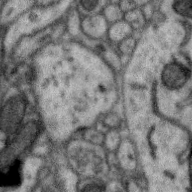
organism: Zebra finch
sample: Brain